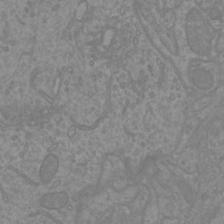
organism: Mouse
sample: Cortical neurons